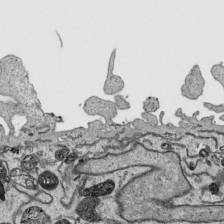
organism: Human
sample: Mitochondria in HCT116 cells